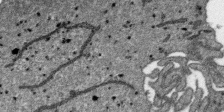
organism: Human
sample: Lung epithelial cells, uninfected (mock) control